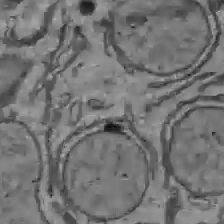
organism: C57BL Mouse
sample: Liver